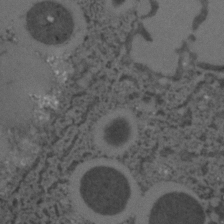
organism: C. elegans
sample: C. elegans embryo